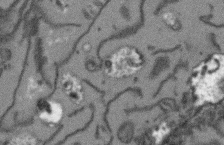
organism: Arabidopsis thaliana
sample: Root tip